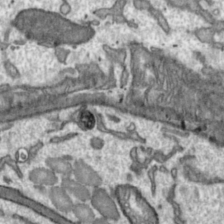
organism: Toxoplasma gondii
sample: Parasites in a vacuole inside a host cell